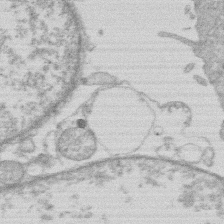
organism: Human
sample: Macrophage cells